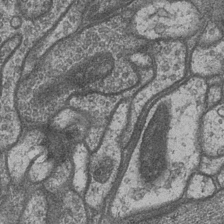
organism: Drosophila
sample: Optic medulla